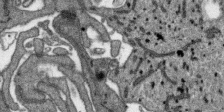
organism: Human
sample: Lung epithelial cells, uninfected (mock) control